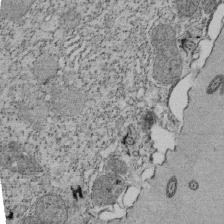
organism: Tetrahymena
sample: Cilia in tetrahymena